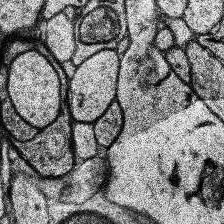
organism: Human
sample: Temporal Lobe